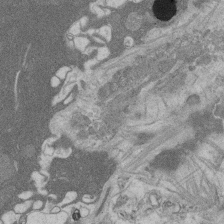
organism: Rat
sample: Salivary granule